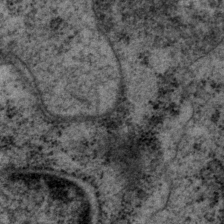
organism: P. pacificus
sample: Pharynx